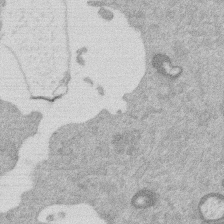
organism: Mouse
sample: Dividing mouse embryo 1 cell stage